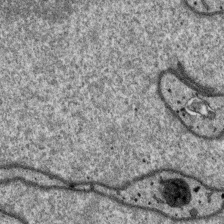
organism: Human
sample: Lung epithelial cells, uninfected (mock) control